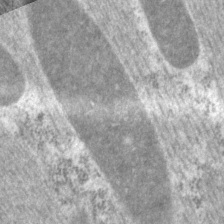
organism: P. pacificus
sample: Pharynx